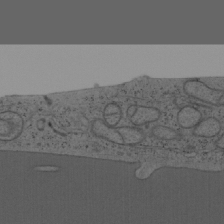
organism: Human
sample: HeLa cells